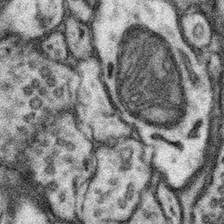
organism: Mouse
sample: Somatosensory cortex neuropil